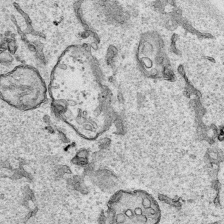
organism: Human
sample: Mitochondria in HCT116 cells